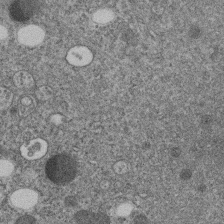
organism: C. elegans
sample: C. elegans embryo early stage